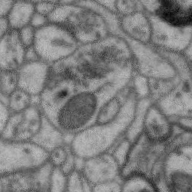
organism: Zebra finch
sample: Brain